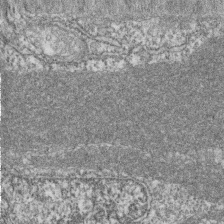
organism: Zebrafish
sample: Cilia; retinal pigment epithelium